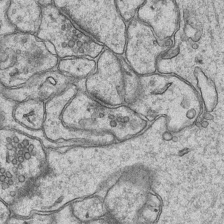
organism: Mouse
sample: CA1 Hippocampus